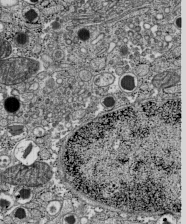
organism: C57BL Mouse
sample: Pancreatic islet